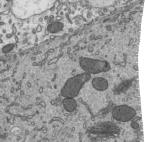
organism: Mouse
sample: Mouse epididymis efferent ductule cilia